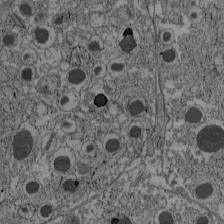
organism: C57BL Mouse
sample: Pancreatic islet